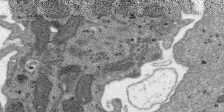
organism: Human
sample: Lung epithelial cells infected with SARS-CoV-2